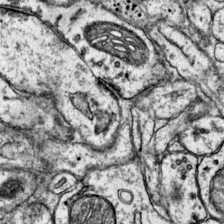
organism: Mouse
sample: Primary visual cortex